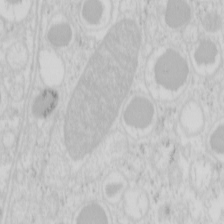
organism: Mouse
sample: Pancreas